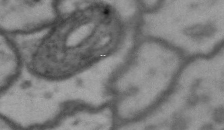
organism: Drosophila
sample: Brain